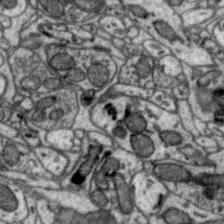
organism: Zebra finch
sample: Brain